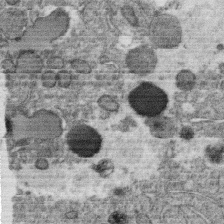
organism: C. elegans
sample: C. elegans oocyte; sperm cells